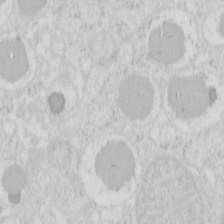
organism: Mouse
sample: Pancreas